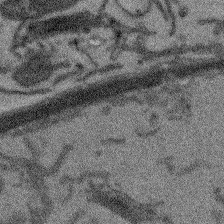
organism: Arabidopsis thaliana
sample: Root tip